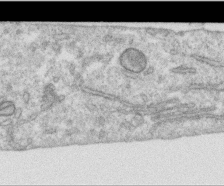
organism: Human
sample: Centriole in RPE cells